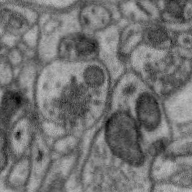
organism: Zebra finch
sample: Brain